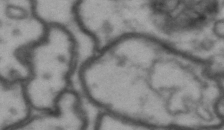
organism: Drosophila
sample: Brain